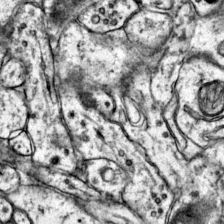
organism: Mouse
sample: Primary visual cortex